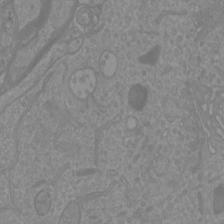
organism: Mouse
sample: Cortical neurons